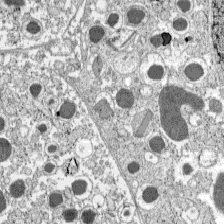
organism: C57BL Mouse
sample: Pancreatic islet